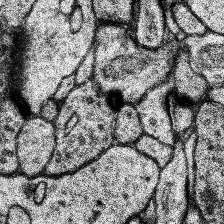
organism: Human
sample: Temporal Lobe